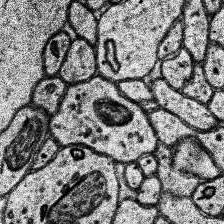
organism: Human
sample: Temporal Lobe